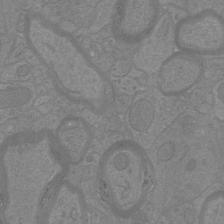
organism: Mouse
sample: Cortical neurons